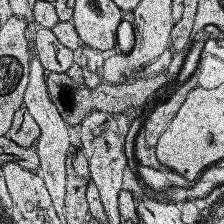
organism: Human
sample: Temporal Lobe